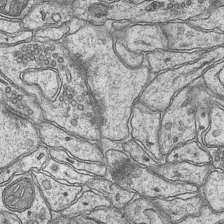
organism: Mouse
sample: CA1 Hippocampus